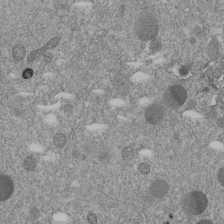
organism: C. elegans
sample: C. elegans embryo early stage